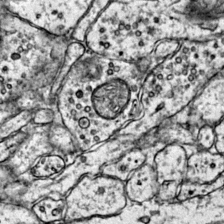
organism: Mouse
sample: Primary visual cortex